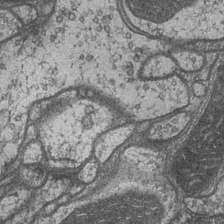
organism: Drosophila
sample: Optic medulla